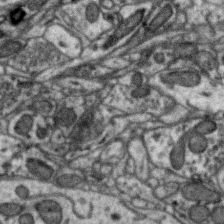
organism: Zebra finch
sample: Brain